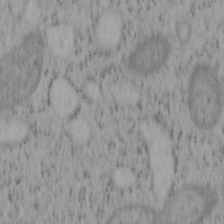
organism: Mouse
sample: OT-I killer T cells with ID8 ovarian cancer cells